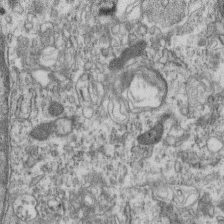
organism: Mouse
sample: Centriole in ependymal cells